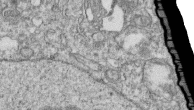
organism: Human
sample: HeLa cell HIV synapse